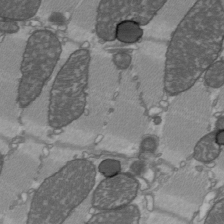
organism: C57BL Mouse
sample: Heart